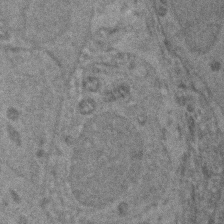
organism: Zebrafish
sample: Zebrafish embryo